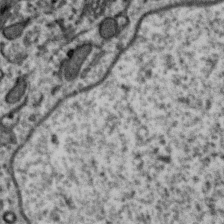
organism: Zebra finch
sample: Brain